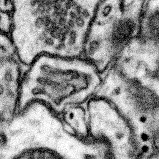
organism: Mouse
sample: Somatosensory cortex neuropil